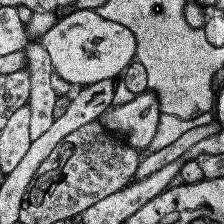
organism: Human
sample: Temporal Lobe